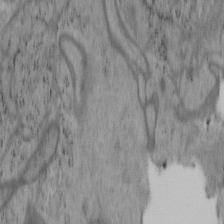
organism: Human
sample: HeLa cells